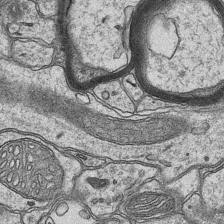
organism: Mouse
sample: CA1 Hippocampus